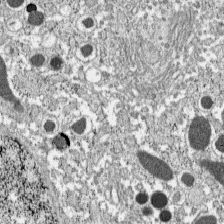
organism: C57BL Mouse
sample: Pancreatic islet